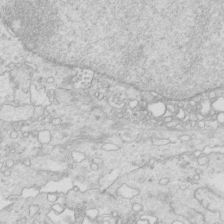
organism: Mouse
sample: Multiciliated cells